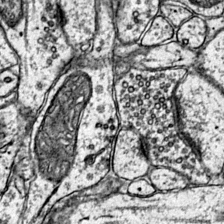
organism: Mouse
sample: Primary visual cortex